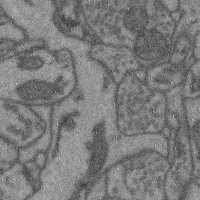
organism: Mouse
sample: Cerebral cortex